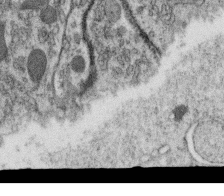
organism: C. elegans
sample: C. elegans oocyte; sperm cells